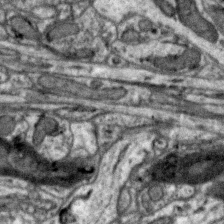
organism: Zebra finch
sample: Brain